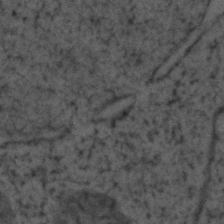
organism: Zebrafish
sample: Zebrafish embryo